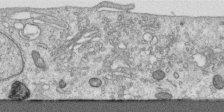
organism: Human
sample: Centriole in RPE cells